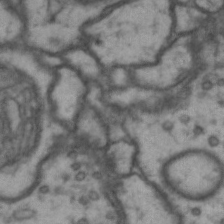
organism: Drosophila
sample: Brain